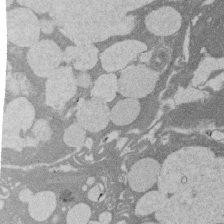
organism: Rat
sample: Salivary granule